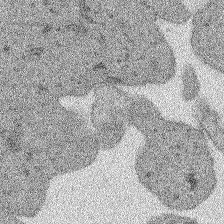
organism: Human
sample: HeLa cells